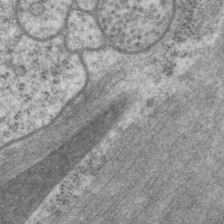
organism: P. pacificus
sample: Pharynx